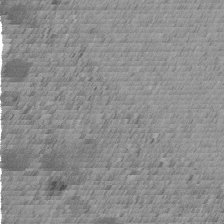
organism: C. elegans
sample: C. elegans embryo early stage